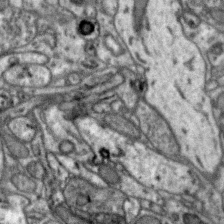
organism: Zebra finch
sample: Brain